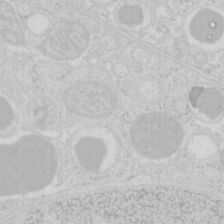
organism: Mouse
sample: Pancreas